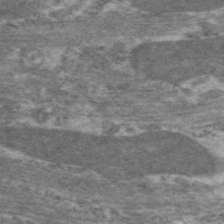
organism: C. elegans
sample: Pharynx